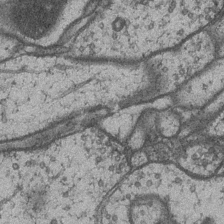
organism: Drosophila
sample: Optic medulla